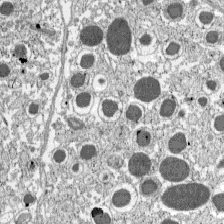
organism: C57BL Mouse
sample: Pancreatic islet